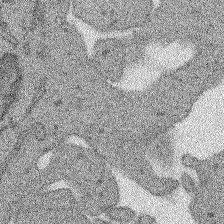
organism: Human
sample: HeLa cells